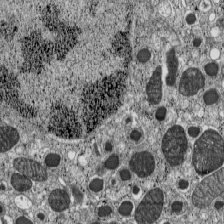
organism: C57BL Mouse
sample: Pancreatic islet